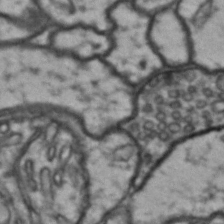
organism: Drosophila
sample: Brain